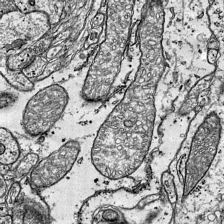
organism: Mouse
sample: Visual Cortex